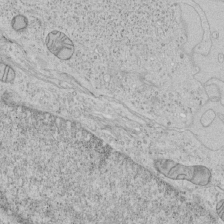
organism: Human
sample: Mitochondria in HCT116 cells